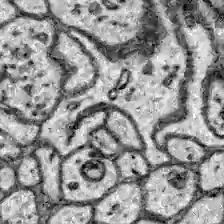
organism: Zebrafish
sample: Brain